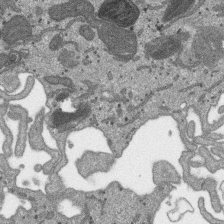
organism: Human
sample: Lung epithelial cells infected with SARS-CoV-2